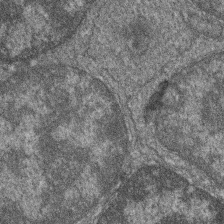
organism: Zebrafish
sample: Cilia; retinal pigment epithelium